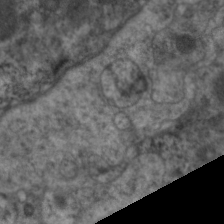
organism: C. elegans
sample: Pharynx